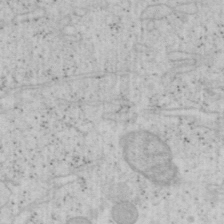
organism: Human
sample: HeLa cells